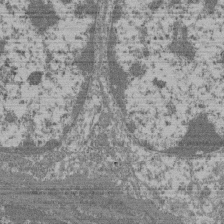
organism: Mouse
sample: Glomerulus